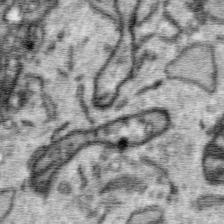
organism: Human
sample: HeLa cells